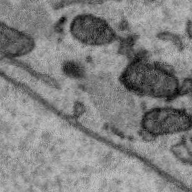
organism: Zebra finch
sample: Brain